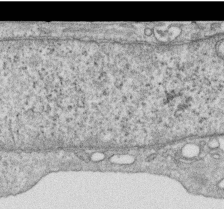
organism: Human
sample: Centriole in RPE cells